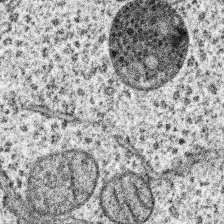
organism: Human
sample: HeLa cells